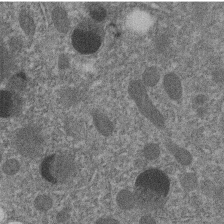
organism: C. elegans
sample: C. elegans embryo early stage